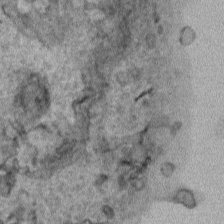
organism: Human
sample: Mitochondria in HCT116 cells